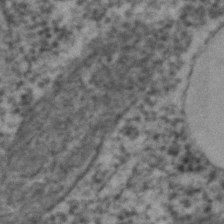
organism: C. elegans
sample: C. elegans embryo